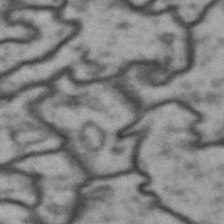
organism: Drosophila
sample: Brain